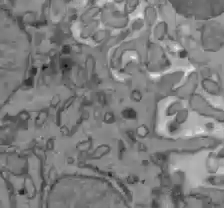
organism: C57BL Mouse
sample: Liver